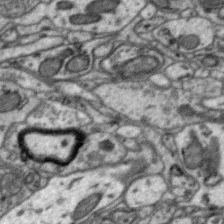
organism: Zebra finch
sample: Brain